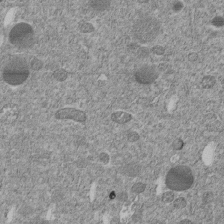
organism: C. elegans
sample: C. elegans embryo early stage